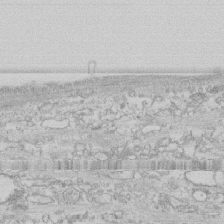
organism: Human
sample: CRL-1474